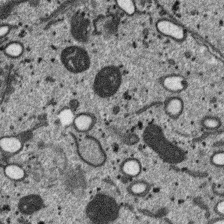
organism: Human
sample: Lung epithelial cells infected with SARS-CoV-2